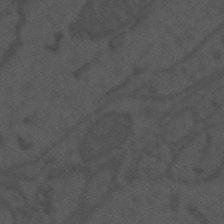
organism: Mouse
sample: Suprachiasmatic nucleus